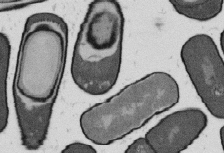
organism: B. subtilis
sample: Bacterial spore